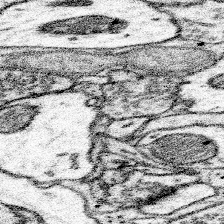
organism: Mouse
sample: Somatosensory cortex neuropil